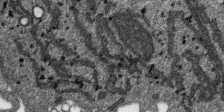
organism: Human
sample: Lung epithelial cells infected with SARS-CoV-2